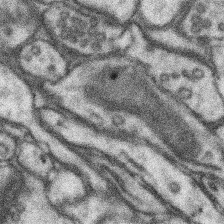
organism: Mouse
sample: Somatosensory cortex neuropil